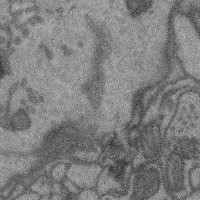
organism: Mouse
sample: Cerebral cortex